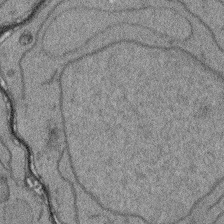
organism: Arabidopsis thaliana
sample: Root tip